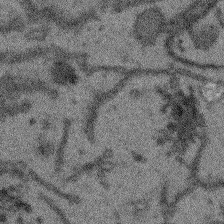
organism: Arabidopsis thaliana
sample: Root tip